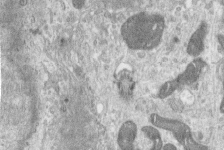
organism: Human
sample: Centriole in RPE cells